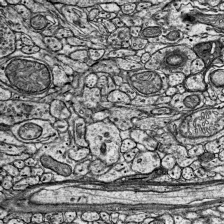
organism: Mouse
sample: Visual Cortex